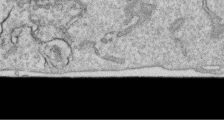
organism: Human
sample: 1205lu cells